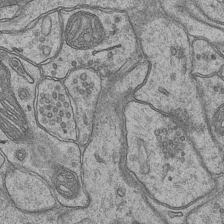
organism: Mouse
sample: CA1 Hippocampus